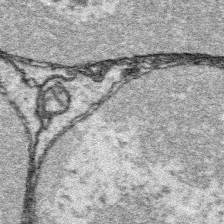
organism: Platynereis dumerilii